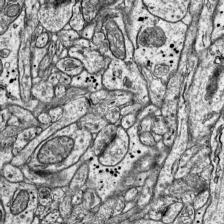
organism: Mouse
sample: Visual Cortex